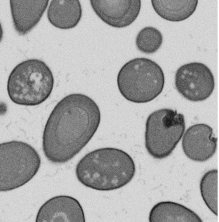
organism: B. subtilis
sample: Bacterial spore